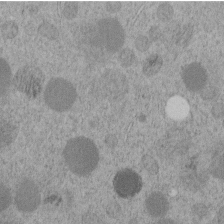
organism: C. elegans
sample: C. elegans embryo early stage